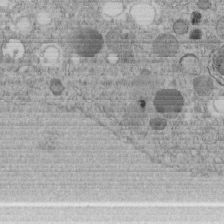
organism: C. elegans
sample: C. elegans embryo early stage